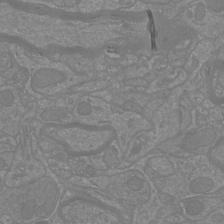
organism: Mouse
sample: Cortical neurons